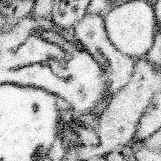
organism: Mouse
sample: Somatosensory cortex neuropil